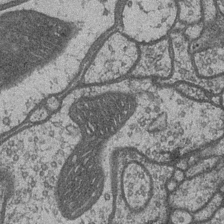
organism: Drosophila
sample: Optic medulla